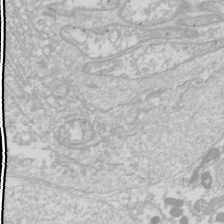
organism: Drosophila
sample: Cell division; meiosis; drosophila spermatocytes